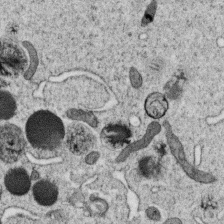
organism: C. elegans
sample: C. elegans oocyte; sperm cells